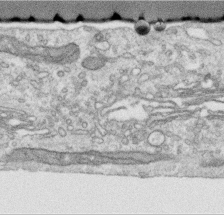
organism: Human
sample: Centriole in RPE cells